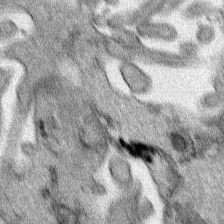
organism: Human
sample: Mitochondria in HCT116 cells